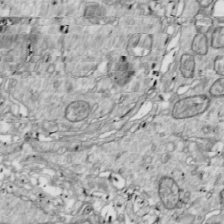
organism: Drosophila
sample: Cell division; meiosis; drosophila spermatocytes